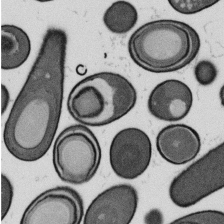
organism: B. subtilis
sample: Bacterial spore